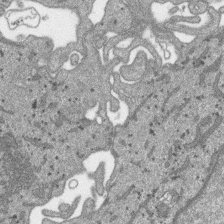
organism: Human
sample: Lung epithelial cells infected with SARS-CoV-2